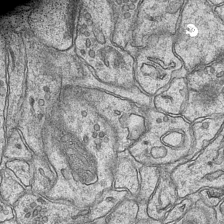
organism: Mouse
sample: CA1 Hippocampus